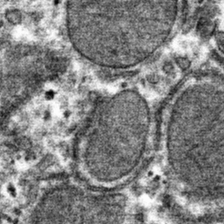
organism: Mouse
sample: Mouse hepatocytes